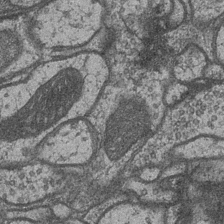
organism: Drosophila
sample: Optic medulla